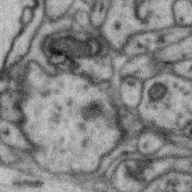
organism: Zebra finch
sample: Brain